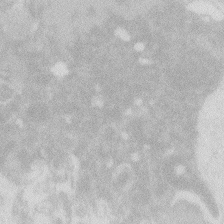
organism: Zebrafish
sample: Macrophage